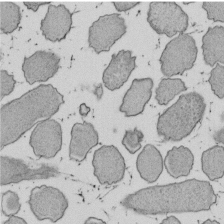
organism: E. coli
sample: Bacterial nucleoid